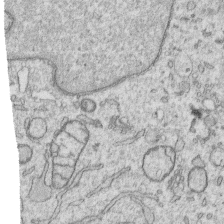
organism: Human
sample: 1205lu cells